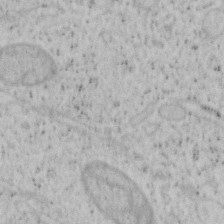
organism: Human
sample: HeLa cells